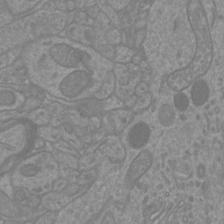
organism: Mouse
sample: Cortical neurons